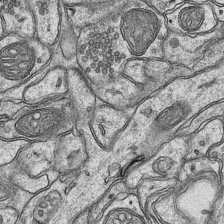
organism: Mouse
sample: CA1 Hippocampus